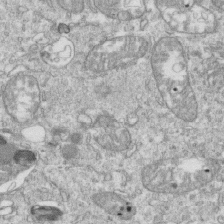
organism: Mouse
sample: Activated OT-1 CD8+ T cells